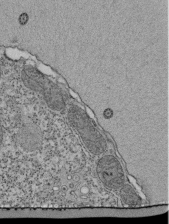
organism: Tetrahymena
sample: Cilia in tetrahymena